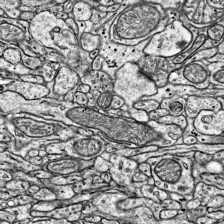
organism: Mouse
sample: Visual Cortex